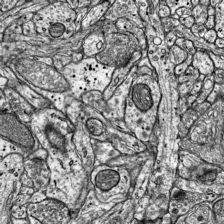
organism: Mouse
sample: Visual Cortex